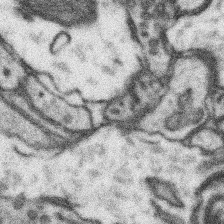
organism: Mouse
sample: Somatosensory cortex neuropil